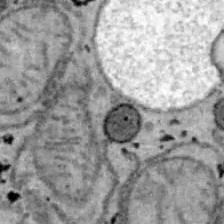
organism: Mouse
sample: Liver from an obese (ob/ob) mouse